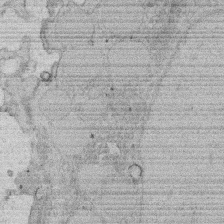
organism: Rat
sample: Salivary granule